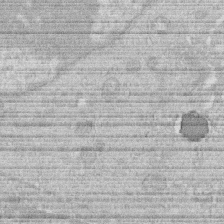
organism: Human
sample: Macrophage cells